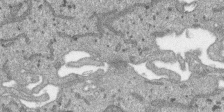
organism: Human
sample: Lung epithelial cells infected with SARS-CoV-2